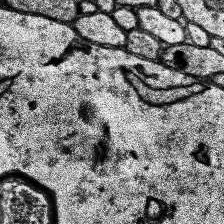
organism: Human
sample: Temporal Lobe